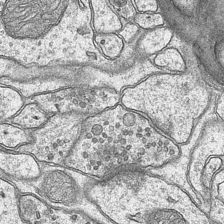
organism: Mouse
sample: CA1 Hippocampus